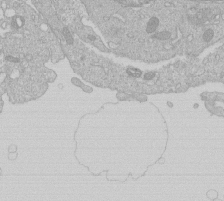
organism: Human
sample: Macrophage cells